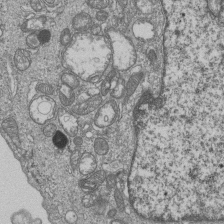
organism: Human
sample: MDA-MB-231 cells